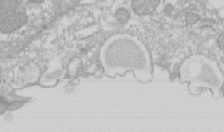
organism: Xenopus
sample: Cilia; centrioles in frog embryo cells